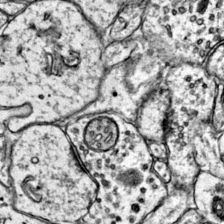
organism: Mouse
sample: Primary visual cortex